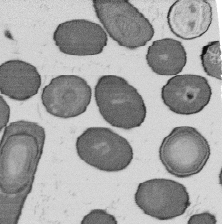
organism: B. subtilis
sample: Bacterial spore